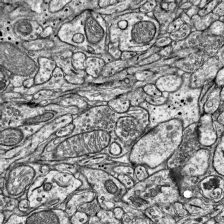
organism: Mouse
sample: Visual Cortex